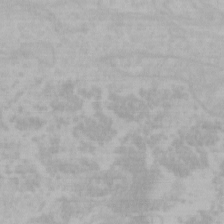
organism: Mouse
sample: Choroid plexus